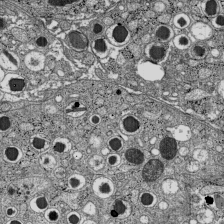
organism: C57BL Mouse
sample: Pancreatic islet